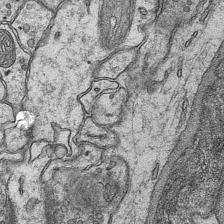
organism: Mouse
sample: CA1 Hippocampus